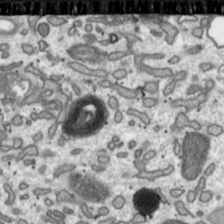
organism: Toxoplasma gondii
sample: Parasites in a vacuole inside a host cell